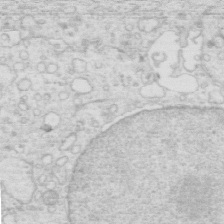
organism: Mouse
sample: Multiciliated cells